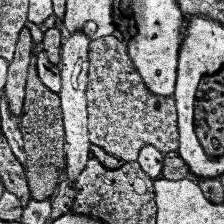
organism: Human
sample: Temporal Lobe